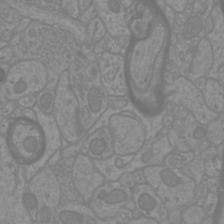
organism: Mouse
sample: Cortical neurons